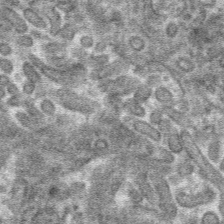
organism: Mouse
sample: Mouse hepatocytes